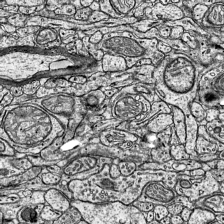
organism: Mouse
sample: Visual Cortex